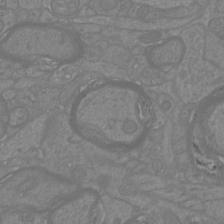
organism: Mouse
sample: Cortical neurons